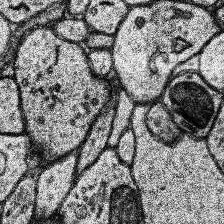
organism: Human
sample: Temporal Lobe